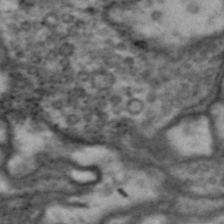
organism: Drosophila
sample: Brain